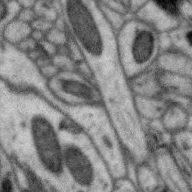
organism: Zebra finch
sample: Brain